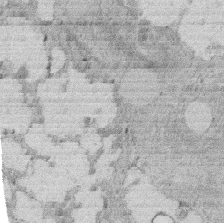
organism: Rat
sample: Salivary granule